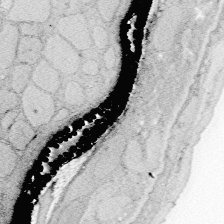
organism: Zebrafish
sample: Whole-Brain